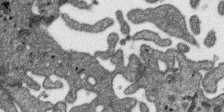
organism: Human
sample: Lung epithelial cells infected with SARS-CoV-2